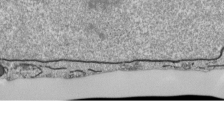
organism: Human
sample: Mitochondria in HCT116 cells